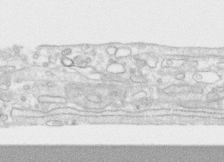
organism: Human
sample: CRL-1474